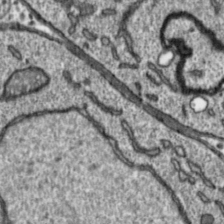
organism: Toxoplasma gondii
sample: Parasites in a vacuole inside a host cell